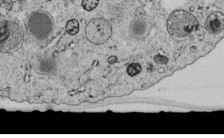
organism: C. elegans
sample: C. elegans embryo early stage